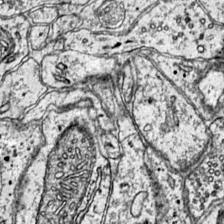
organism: Mouse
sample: Primary visual cortex